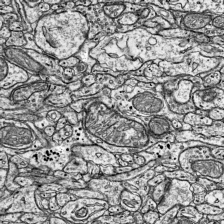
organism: Mouse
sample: Visual Cortex